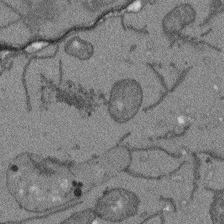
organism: Arabidopsis thaliana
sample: Root tip